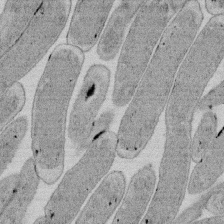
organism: E. coli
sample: Bacterial nucleoid